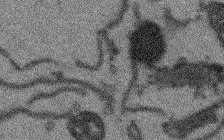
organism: Arabidopsis thaliana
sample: Root tip